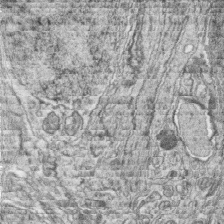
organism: Zebrafish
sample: synaptic ribbons in rod cells and cone cells